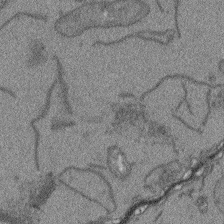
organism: Arabidopsis thaliana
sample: Root tip